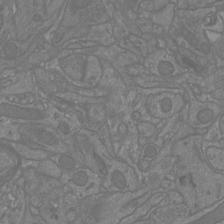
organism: Mouse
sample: Cortical neurons